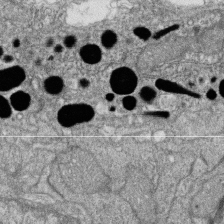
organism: Zebrafish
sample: Cilia; retinal pigment epithelium